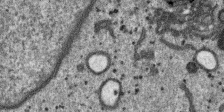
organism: Human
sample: Lung epithelial cells infected with SARS-CoV-2